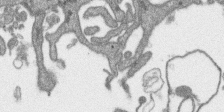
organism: Human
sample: Lung epithelial cells infected with SARS-CoV-2